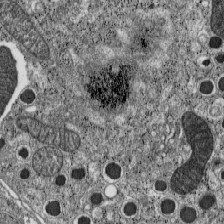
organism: C57BL Mouse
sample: Pancreatic islet